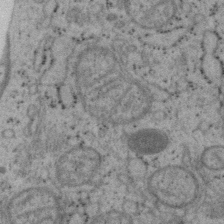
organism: Human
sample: HeLa cells